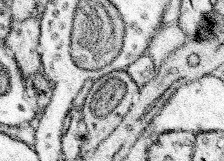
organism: Mouse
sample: Somatosensory cortex neuropil